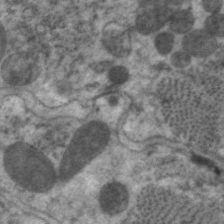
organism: C. elegans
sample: Pharynx